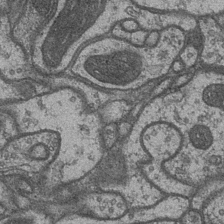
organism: Drosophila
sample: Optic medulla